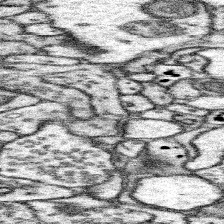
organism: Mouse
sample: Somatosensory cortex neuropil